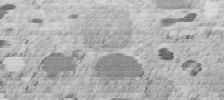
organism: C. elegans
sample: C. elegans embryo early stage